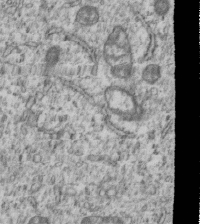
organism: Human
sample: MDA-MB-231 cells